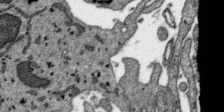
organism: Human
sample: Lung epithelial cells, uninfected (mock) control